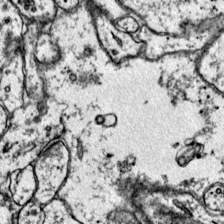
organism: Mouse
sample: Primary visual cortex